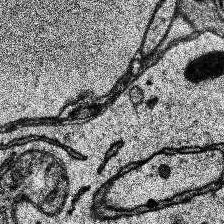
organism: Human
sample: Temporal Lobe